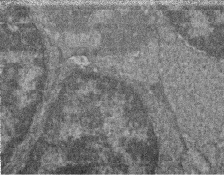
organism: Zebrafish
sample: Cilia; retinal pigment epithelium